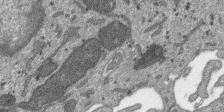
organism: Human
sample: Lung epithelial cells infected with SARS-CoV-2